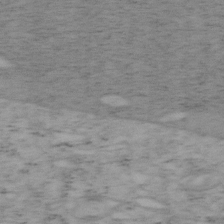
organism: Mouse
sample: OT-I killer T cells with ID8 ovarian cancer cells